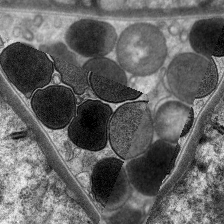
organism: C. elegans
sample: Pharynx